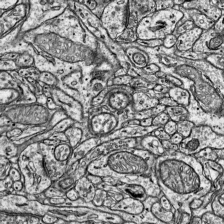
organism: Mouse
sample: Visual Cortex